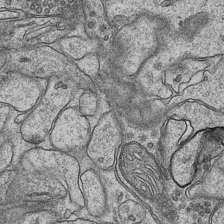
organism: Mouse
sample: CA1 Hippocampus